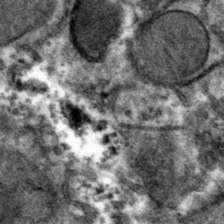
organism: Mouse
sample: Mouse hepatocytes